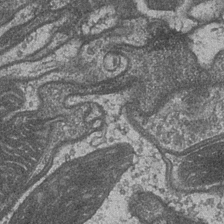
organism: Drosophila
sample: Optic medulla